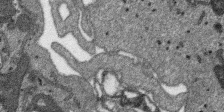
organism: Human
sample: Lung epithelial cells infected with SARS-CoV-2